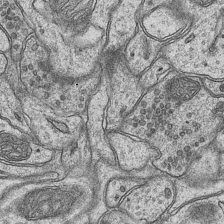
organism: Mouse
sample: CA1 Hippocampus